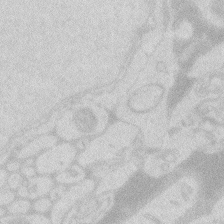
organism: Zebrafish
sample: Macrophage